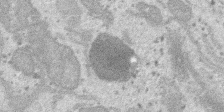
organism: Human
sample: Lung epithelial cells infected with SARS-CoV-2